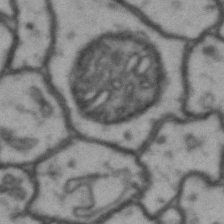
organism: Drosophila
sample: Brain